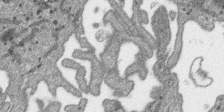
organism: Human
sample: Lung epithelial cells infected with SARS-CoV-2